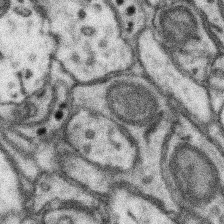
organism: Mouse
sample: Somatosensory cortex neuropil